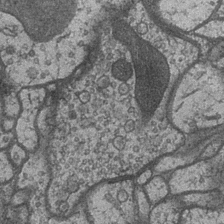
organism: Drosophila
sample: Optic medulla